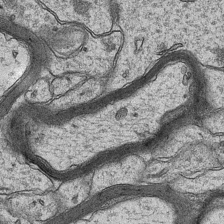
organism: Mouse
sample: CA1 Hippocampus